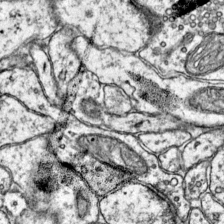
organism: Mouse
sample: Primary visual cortex